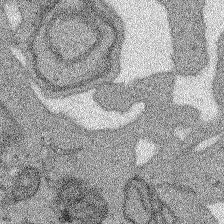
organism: Human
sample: HeLa cells